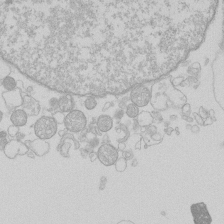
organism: Human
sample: Macrophage cells